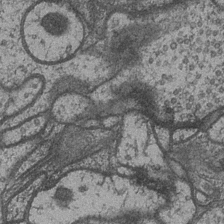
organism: Drosophila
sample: Optic medulla